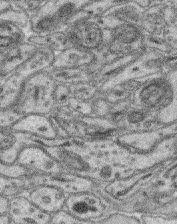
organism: Mouse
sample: Retina